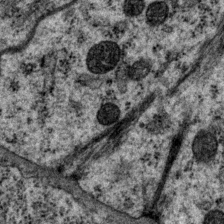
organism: P. pacificus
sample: Pharynx